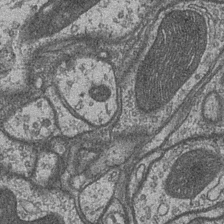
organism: Drosophila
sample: Optic medulla